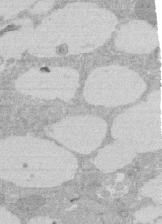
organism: Rat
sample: Salivary granule